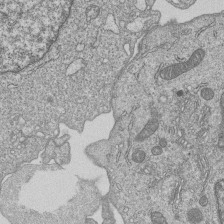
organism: Human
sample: MDA-MB-231 cells